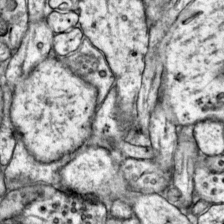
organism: Mouse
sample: Primary visual cortex